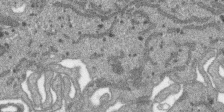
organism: Human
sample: Lung epithelial cells infected with SARS-CoV-2